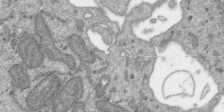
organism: Human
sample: Lung epithelial cells infected with SARS-CoV-2